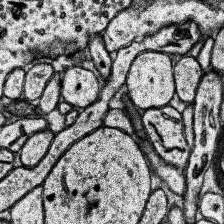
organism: Human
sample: Temporal Lobe